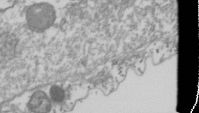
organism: Drosophila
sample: Cell division; meiosis; drosophila spermatocytes